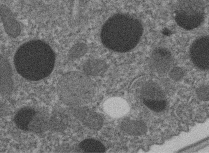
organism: C. elegans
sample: C. elegans embryo early stage